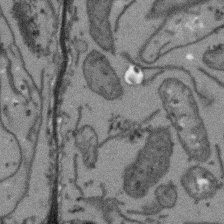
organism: Arabidopsis thaliana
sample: Root tip